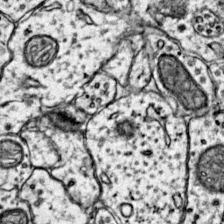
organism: Mouse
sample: Primary visual cortex